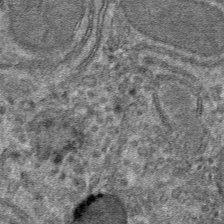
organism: Mouse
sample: Mouse hepatocytes